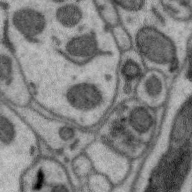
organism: Zebra finch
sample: Brain